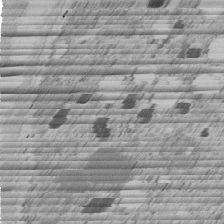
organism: C. elegans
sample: C. elegans embryo early stage